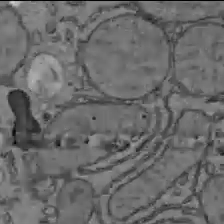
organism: C57BL Mouse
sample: Liver